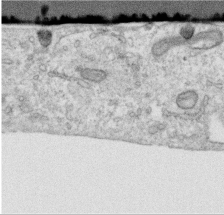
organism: Human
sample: Centriole in RPE cells